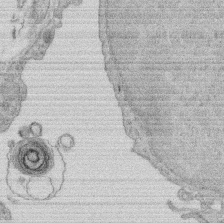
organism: Rat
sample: Salivary granule